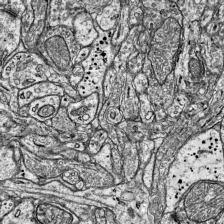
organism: Mouse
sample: Visual Cortex